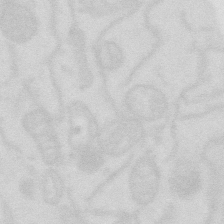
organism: Human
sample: HeLa cells